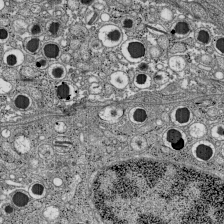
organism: C57BL Mouse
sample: Pancreatic islet